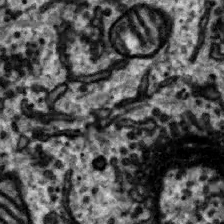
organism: Human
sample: HeLa cells